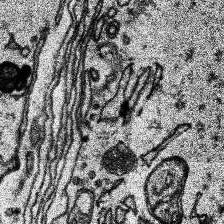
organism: Human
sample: Temporal Lobe